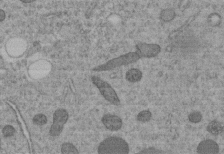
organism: C. elegans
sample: C. elegans embryo early stage